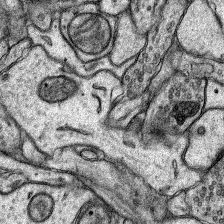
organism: Rat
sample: Hippocampus